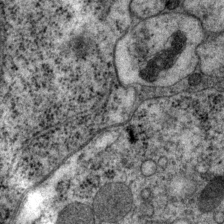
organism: P. pacificus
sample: Pharynx